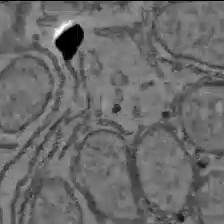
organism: C57BL Mouse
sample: Liver